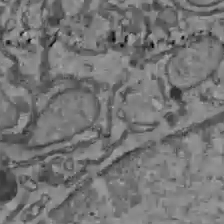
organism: C57BL Mouse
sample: Liver